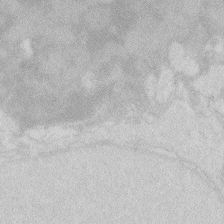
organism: Zebrafish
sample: Macrophage